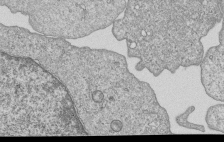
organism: Human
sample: MDA-MB-231 cells